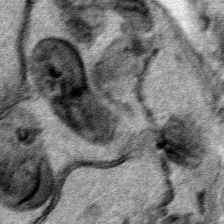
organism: Human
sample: Mitochondria in HCT116 cells